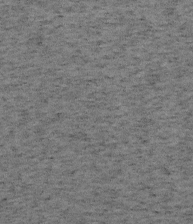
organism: Mouse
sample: OT-I killer T cells with ID8 ovarian cancer cells